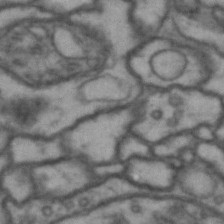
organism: Drosophila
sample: Brain